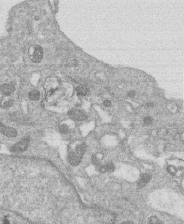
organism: Human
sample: Macrophage cells